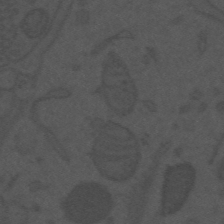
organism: Mouse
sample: Suprachiasmatic nucleus